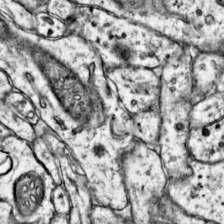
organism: Mouse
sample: Primary visual cortex